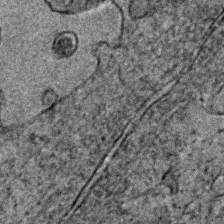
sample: Trachea